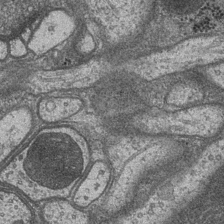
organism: Drosophila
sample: Optic medulla